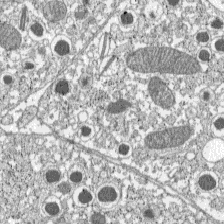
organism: C57BL Mouse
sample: Pancreatic islet